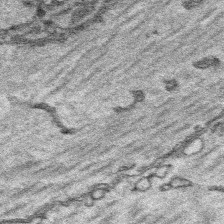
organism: Platynereis dumerilii